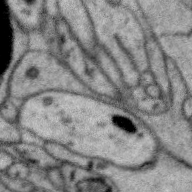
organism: Zebra finch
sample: Brain